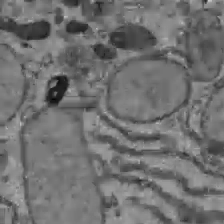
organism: C57BL Mouse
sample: Liver